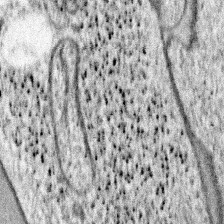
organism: Human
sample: HeLa cells